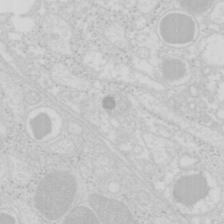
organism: Mouse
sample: Pancreas